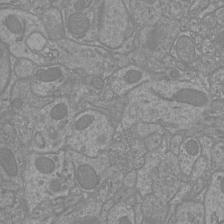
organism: Mouse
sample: Cortical neurons